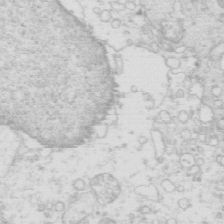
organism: Mouse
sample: Multiciliated cells